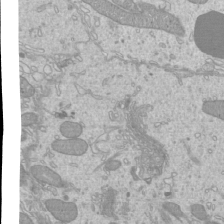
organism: Mouse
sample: Cilia; mouse epididymis